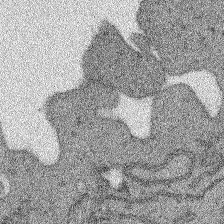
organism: Human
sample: HeLa cells